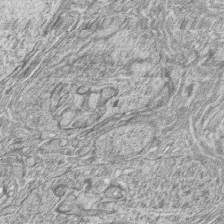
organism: Zebrafish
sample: synaptic ribbons in rod cells and cone cells